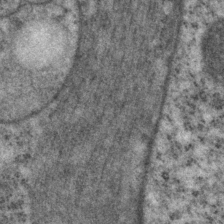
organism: P. pacificus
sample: Pharynx